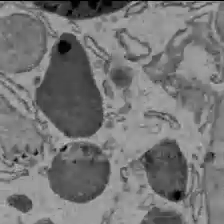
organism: C57BL Mouse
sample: Liver